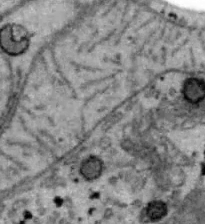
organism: Mouse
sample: Liver from an obese (ob/ob) mouse